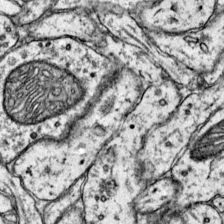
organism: Mouse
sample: Primary visual cortex